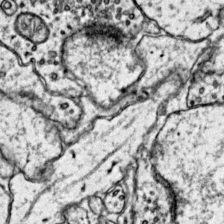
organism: Mouse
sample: Primary visual cortex